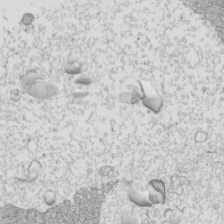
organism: Mouse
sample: Cilia; mouse epididymis